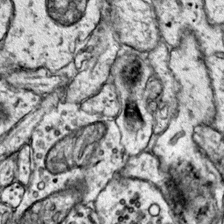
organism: Mouse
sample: Primary visual cortex